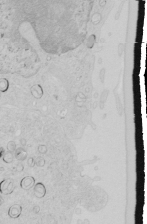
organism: Human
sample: Mitochondria in HCT116 cells